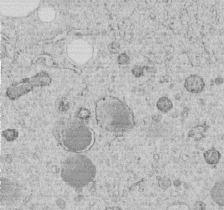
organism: C. elegans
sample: C. elegans embryo early stage